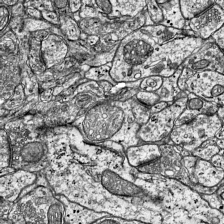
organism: Mouse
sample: Visual Cortex